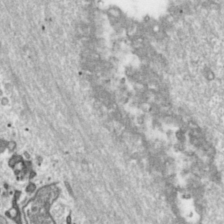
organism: Toxoplasma gondii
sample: Parasites in a vacuole inside a host cell